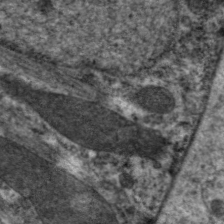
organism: C. elegans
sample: Pharynx